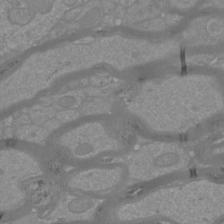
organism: Mouse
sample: Cortical neurons